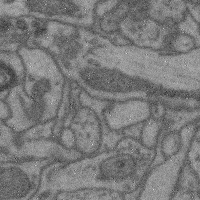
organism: Mouse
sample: Cerebral cortex